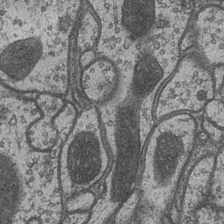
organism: Drosophila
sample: Optic medulla